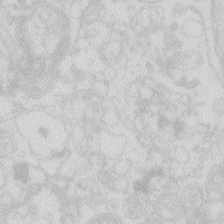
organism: Zebrafish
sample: Macrophage